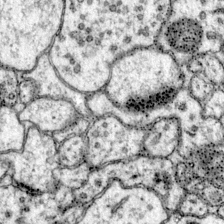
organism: Mouse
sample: Primary visual cortex